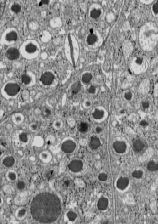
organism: C57BL Mouse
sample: Pancreatic islet